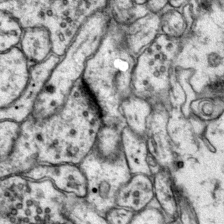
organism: Mouse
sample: Primary visual cortex